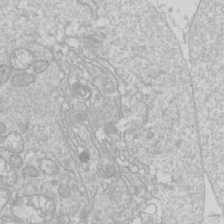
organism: Drosophila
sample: Cell division; meiosis; drosophila spermatocytes